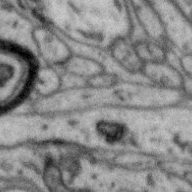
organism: Zebra finch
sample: Brain